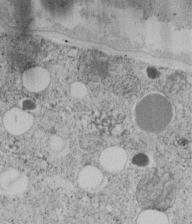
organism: C. elegans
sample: C. elegans embryo early stage